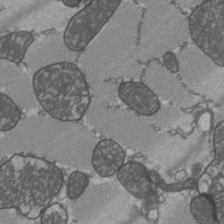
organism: C57BL Mouse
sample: Heart